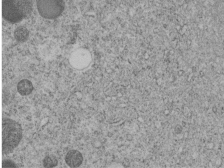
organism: C. elegans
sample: C. elegans embryo early stage